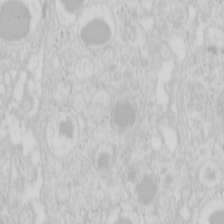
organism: Mouse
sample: Pancreas